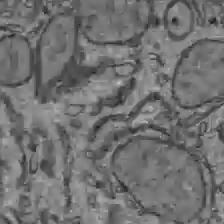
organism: C57BL Mouse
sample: Liver